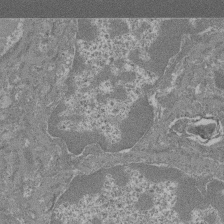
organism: Mouse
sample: Glomerulus